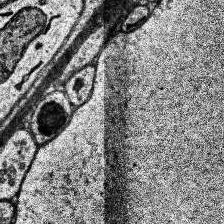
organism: Human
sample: Temporal Lobe